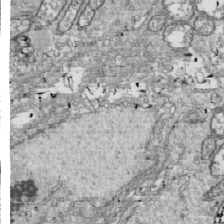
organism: Drosophila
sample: Cell division; meiosis; drosophila spermatocytes